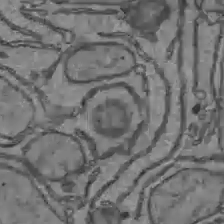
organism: C57BL Mouse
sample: Liver